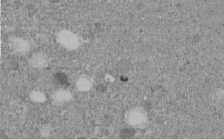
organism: C. elegans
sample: C. elegans embryo early stage